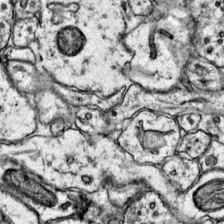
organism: Mouse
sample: Primary visual cortex